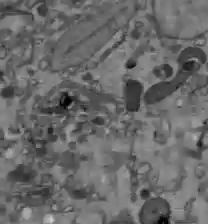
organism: C57BL Mouse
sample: Liver